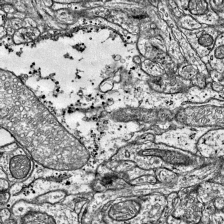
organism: Mouse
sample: Visual Cortex